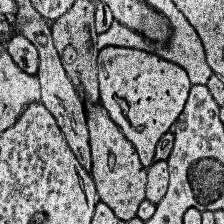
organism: Human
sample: Temporal Lobe